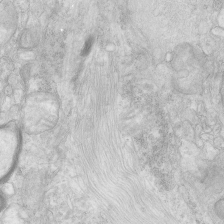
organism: Human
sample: Neocortex